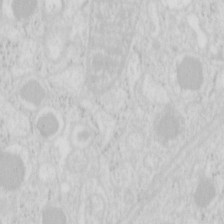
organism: Mouse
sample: Pancreas